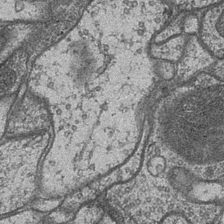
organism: Drosophila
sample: Optic medulla